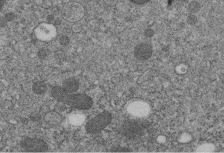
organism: C. elegans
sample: C. elegans embryo early stage